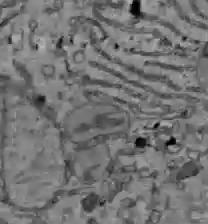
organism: C57BL Mouse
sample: Liver